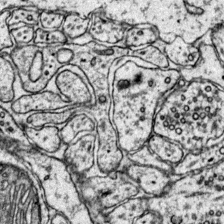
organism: Mouse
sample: Primary visual cortex